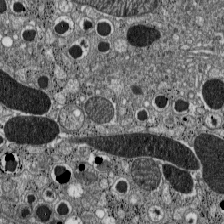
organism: C57BL Mouse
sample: Pancreatic islet